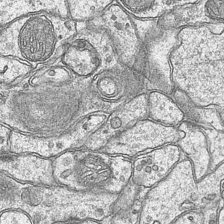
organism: Mouse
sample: CA1 Hippocampus